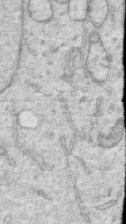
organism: Human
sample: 1205lu cells